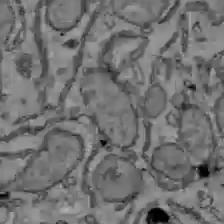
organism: C57BL Mouse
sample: Liver